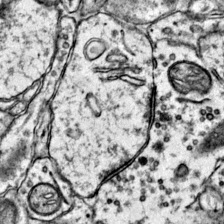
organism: Mouse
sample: Primary visual cortex